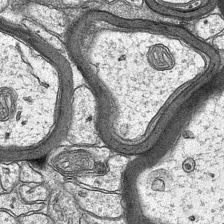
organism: Mouse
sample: CA1 Hippocampus